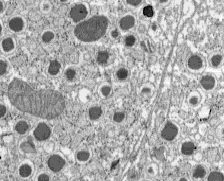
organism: C57BL Mouse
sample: Pancreatic islet